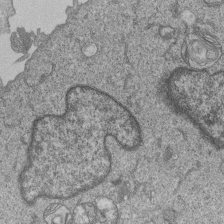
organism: Human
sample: MDA-MB-231 cells